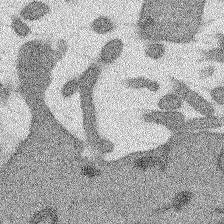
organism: Human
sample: HeLa cells